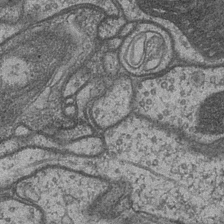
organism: Drosophila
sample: Optic medulla